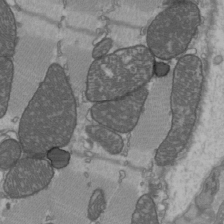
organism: C57BL Mouse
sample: Heart